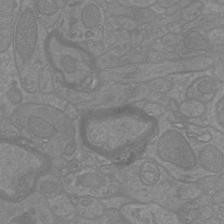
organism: Mouse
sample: Cortical neurons